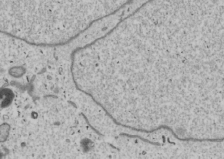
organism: Human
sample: Mitochondria in U2OS cells